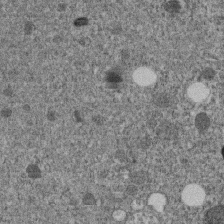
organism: C. elegans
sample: C. elegans embryo early stage